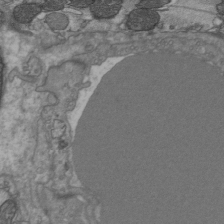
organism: C57BL Mouse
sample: Heart